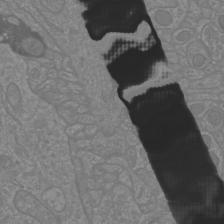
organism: Mouse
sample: Cortical neurons